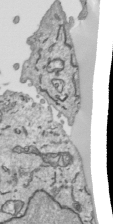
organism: Human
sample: Mitochondria in HCT116 cells